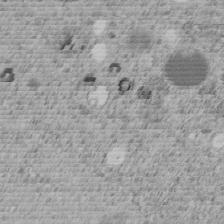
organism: C. elegans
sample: C. elegans embryo early stage